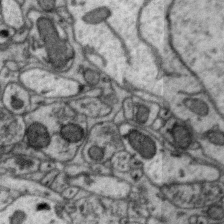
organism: Zebra finch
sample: Brain